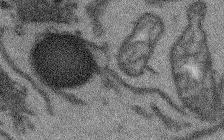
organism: Arabidopsis thaliana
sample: Root tip